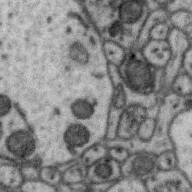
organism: Zebra finch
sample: Brain